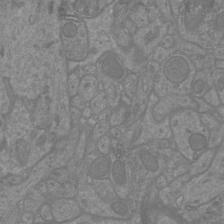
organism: Mouse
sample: Cortical neurons